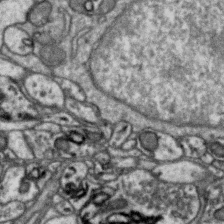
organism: Zebra finch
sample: Brain